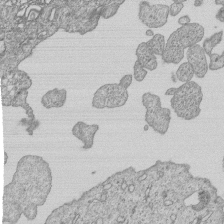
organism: Human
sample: MDA-MB-231 cells